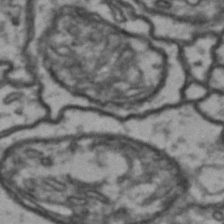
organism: Drosophila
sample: Brain